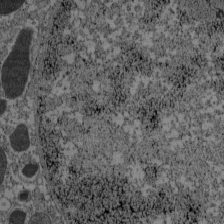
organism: C57BL Mouse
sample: Pancreatic islet